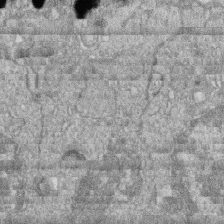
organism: Zebrafish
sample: Cilia; retinal pigment epithelium